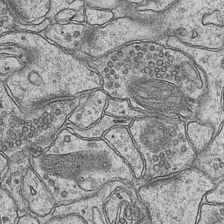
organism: Mouse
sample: CA1 Hippocampus